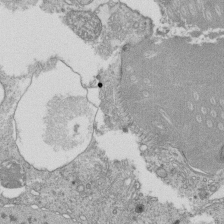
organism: Tetrahymena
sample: Cilia in tetrahymena